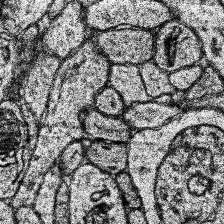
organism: Human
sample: Temporal Lobe